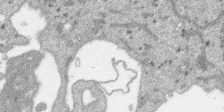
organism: Human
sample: Lung epithelial cells infected with SARS-CoV-2